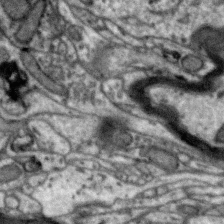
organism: Zebra finch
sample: Brain